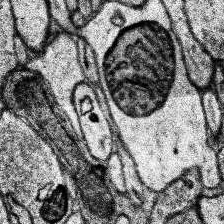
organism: Human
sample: Temporal Lobe